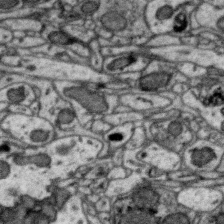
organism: Zebra finch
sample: Brain